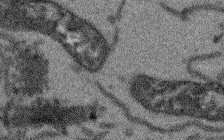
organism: Arabidopsis thaliana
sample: Root tip